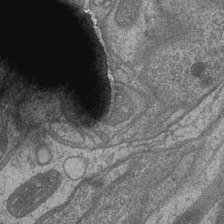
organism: Drosophila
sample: Optic medulla